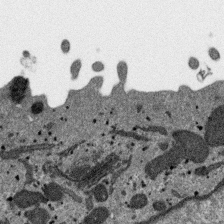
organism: Human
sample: Lung epithelial cells, uninfected (mock) control